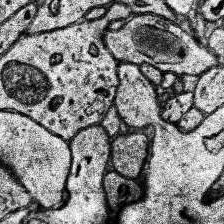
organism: Human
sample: Temporal Lobe